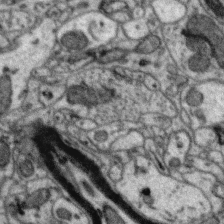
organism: Zebra finch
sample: Brain